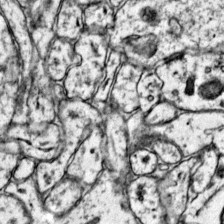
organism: Mouse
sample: Primary visual cortex